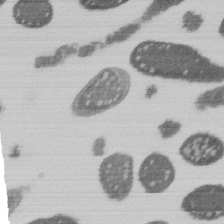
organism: E. coli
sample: Bacterial nucleoid